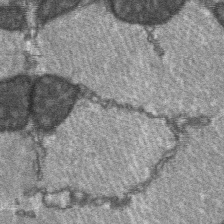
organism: C57BL Mouse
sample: Soleus